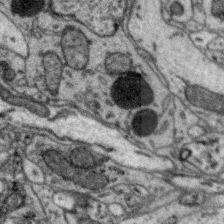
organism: Zebra finch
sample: Brain